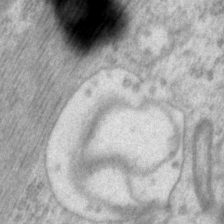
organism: P. pacificus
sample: Pharynx